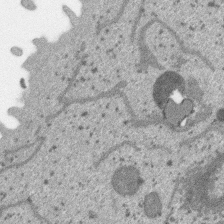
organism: Human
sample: Lung epithelial cells infected with SARS-CoV-2